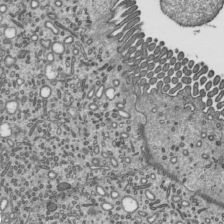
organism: Mouse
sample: Mouse epididymis efferent ductule cilia